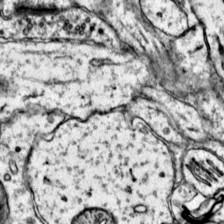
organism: Mouse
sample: Primary visual cortex